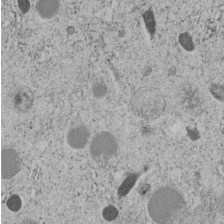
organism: C. elegans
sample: C. elegans embryo early stage